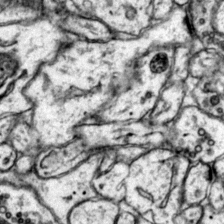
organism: Mouse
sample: Primary visual cortex